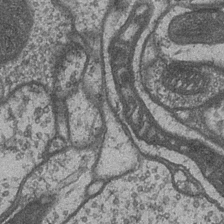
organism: Drosophila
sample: Optic medulla